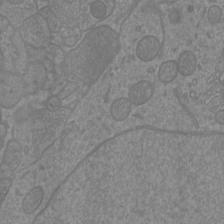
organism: Mouse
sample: Cortical neurons